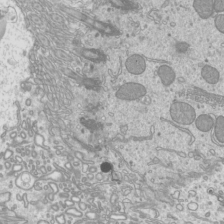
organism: Mouse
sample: Cilia; mouse epididymis